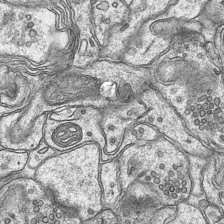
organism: Mouse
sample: CA1 Hippocampus